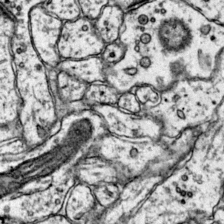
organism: Mouse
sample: Primary visual cortex